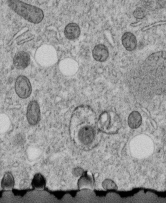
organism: C. elegans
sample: C. elegans embryo early stage